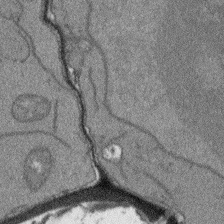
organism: Arabidopsis thaliana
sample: Root tip